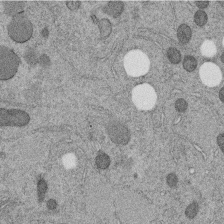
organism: C. elegans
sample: C. elegans embryo early stage